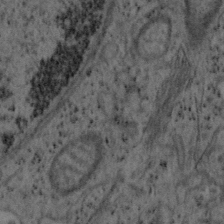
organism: Human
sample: HeLa cells